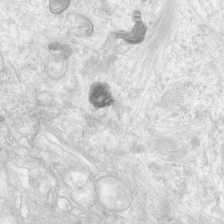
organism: Human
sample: Neocortex